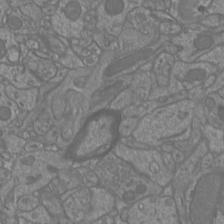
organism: Mouse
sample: Cortical neurons